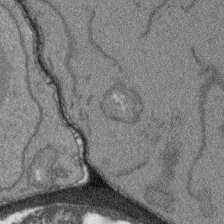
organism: Arabidopsis thaliana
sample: Root tip